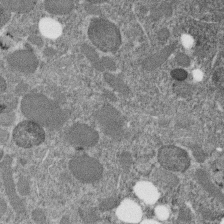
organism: C. elegans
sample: C. elegans embryo early stage